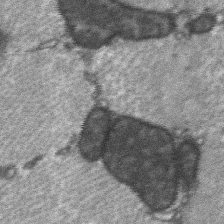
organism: C57BL Mouse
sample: Soleus